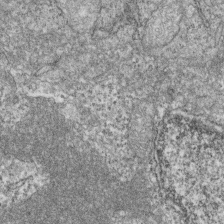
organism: Zebrafish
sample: Cilia; retinal pigment epithelium